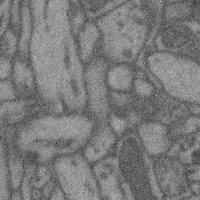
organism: Mouse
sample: Cerebral cortex